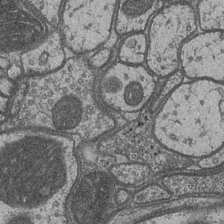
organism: Drosophila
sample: Optic medulla